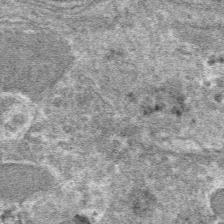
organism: Mouse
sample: Mouse hepatocytes